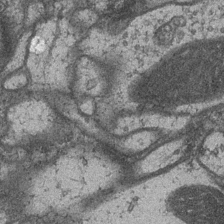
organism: Drosophila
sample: Optic medulla